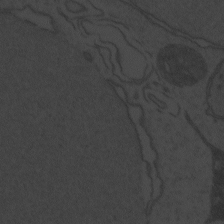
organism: Zebrafish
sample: Macrophage infected with Toxoplasma gondii